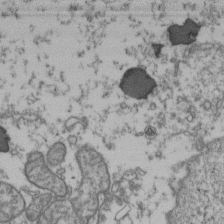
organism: Human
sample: Activated Jurkat CD4+ T cells